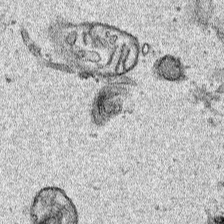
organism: Human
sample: Mitochondria in HCT116 cells